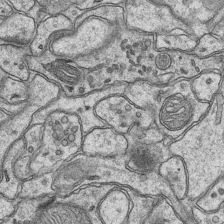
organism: Mouse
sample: CA1 Hippocampus